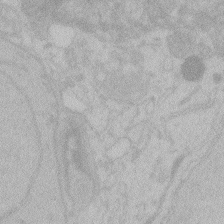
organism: Zebrafish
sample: Macrophage infected with Toxoplasma gondii